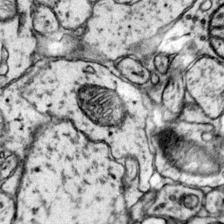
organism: Mouse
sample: Primary visual cortex